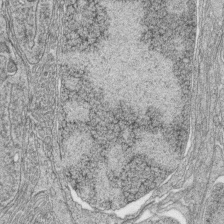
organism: Zebrafish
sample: synaptic ribbons in rod cells and cone cells